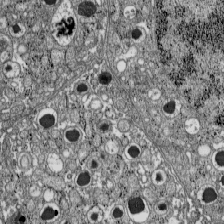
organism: C57BL Mouse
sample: Pancreatic islet